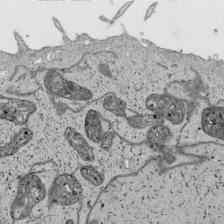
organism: Human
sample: Mitochondria in HCT116 cells